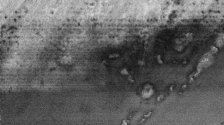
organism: Human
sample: Centriole in RPE cells